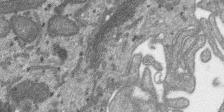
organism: Human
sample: Lung epithelial cells infected with SARS-CoV-2